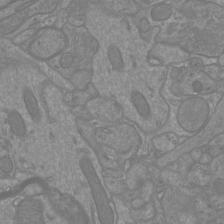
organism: Mouse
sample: Cortical neurons